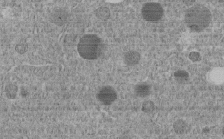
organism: C. elegans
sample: C. elegans embryo early stage